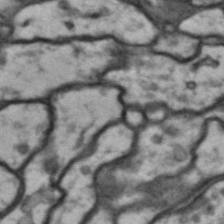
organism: Drosophila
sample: Brain